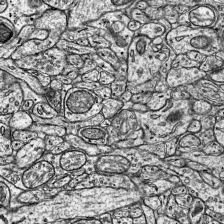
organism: Mouse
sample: Visual Cortex